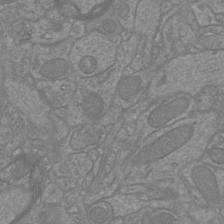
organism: Mouse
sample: Cortical neurons